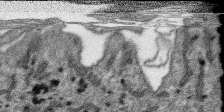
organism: Human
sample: Lung epithelial cells infected with SARS-CoV-2